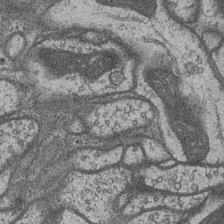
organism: Drosophila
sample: Optic medulla